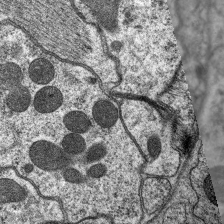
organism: C. elegans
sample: Pharynx